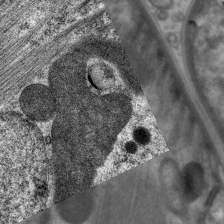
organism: C. elegans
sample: Pharynx